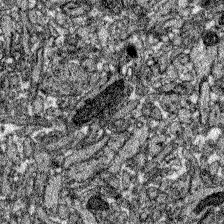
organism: Zebrafish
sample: Larval olfactory bulb